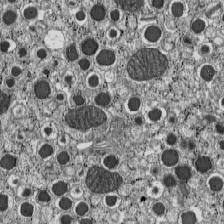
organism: C57BL Mouse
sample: Pancreatic islet